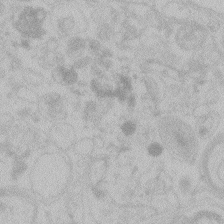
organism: Zebrafish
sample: Macrophage infected with Toxoplasma gondii